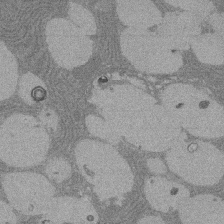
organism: Rat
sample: Salivary granule